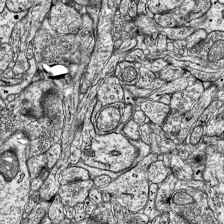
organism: Mouse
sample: Visual Cortex